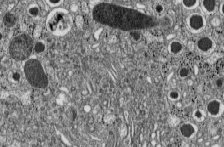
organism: C57BL Mouse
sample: Pancreatic islet